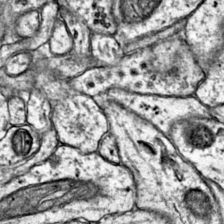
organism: Mouse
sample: Primary visual cortex